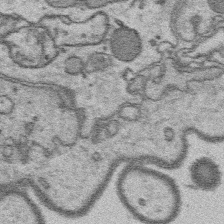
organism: Platynereis dumerilii